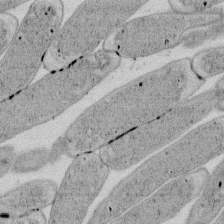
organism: E. coli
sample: Bacterial nucleoid